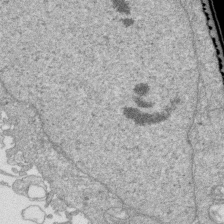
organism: Human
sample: HeLa cell HIV synapse